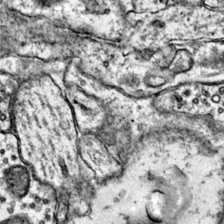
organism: Mouse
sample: Primary visual cortex